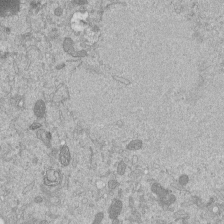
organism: Mouse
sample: ED-1 cell nuclei; centrioles